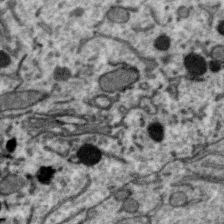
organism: Zebra finch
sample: Brain